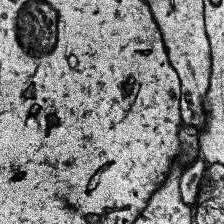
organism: Human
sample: Temporal Lobe